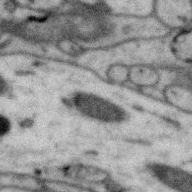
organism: Zebra finch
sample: Brain